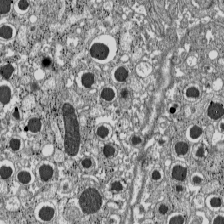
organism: C57BL Mouse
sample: Pancreatic islet